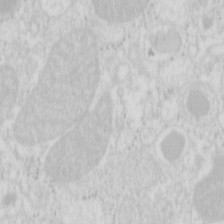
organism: Mouse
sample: Pancreas